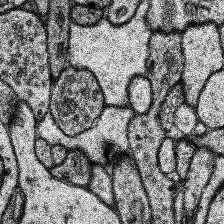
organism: Human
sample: Temporal Lobe